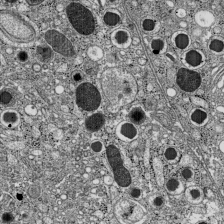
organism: C57BL Mouse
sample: Pancreatic islet